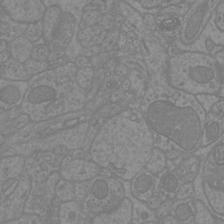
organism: Mouse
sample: Cortical neurons